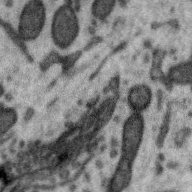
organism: Zebra finch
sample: Brain